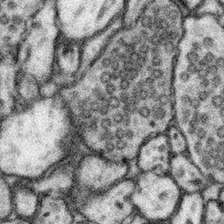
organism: Mouse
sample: Somatosensory cortex neuropil